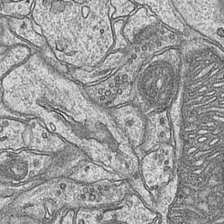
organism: Mouse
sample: CA1 Hippocampus